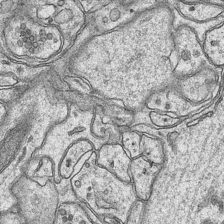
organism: Mouse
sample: CA1 Hippocampus